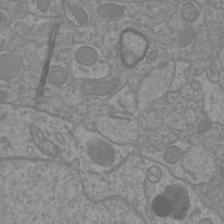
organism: Mouse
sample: Cortical neurons